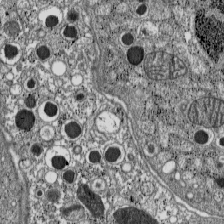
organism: C57BL Mouse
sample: Pancreatic islet